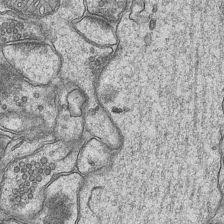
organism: Mouse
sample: CA1 Hippocampus